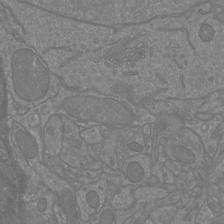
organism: Mouse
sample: Cortical neurons